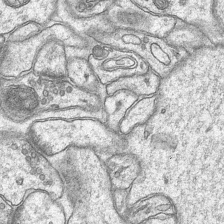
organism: Mouse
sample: CA1 Hippocampus